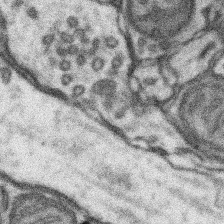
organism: Mouse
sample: Somatosensory cortex neuropil